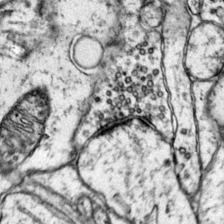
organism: Mouse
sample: Primary visual cortex